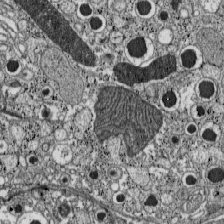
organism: C57BL Mouse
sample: Pancreatic islet